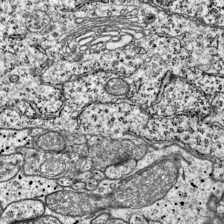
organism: Mouse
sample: Visual Cortex